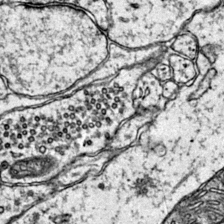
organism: Mouse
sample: Primary visual cortex